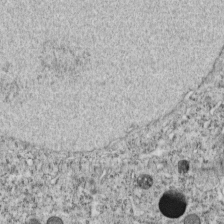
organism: C. elegans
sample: C. elegans embryo early stage